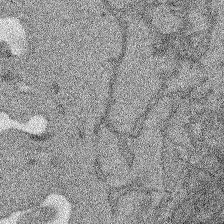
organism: Human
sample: HeLa cells